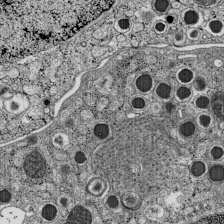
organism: C57BL Mouse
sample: Pancreatic islet